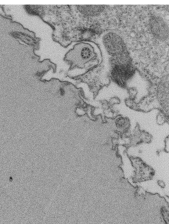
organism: Tetrahymena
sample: Cilia in tetrahymena